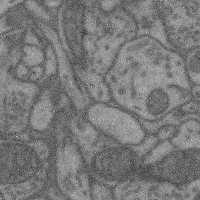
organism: Mouse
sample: Cerebral cortex